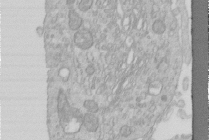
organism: Human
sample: Centriole in RPE cells